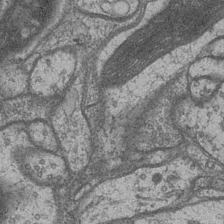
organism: Drosophila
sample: Optic medulla